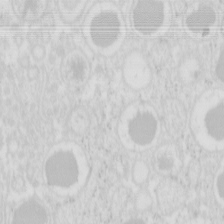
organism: Mouse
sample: Pancreas